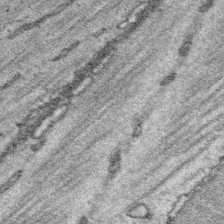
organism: Platynereis dumerilii